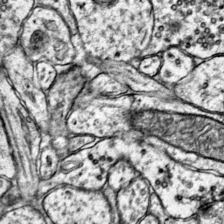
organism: Mouse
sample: Primary visual cortex